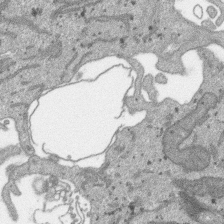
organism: Human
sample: Lung epithelial cells infected with SARS-CoV-2